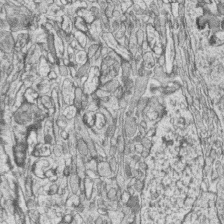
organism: Zebrafish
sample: synaptic ribbons in rod cells and cone cells